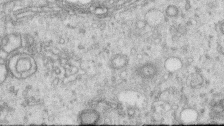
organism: Human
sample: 1205lu cells